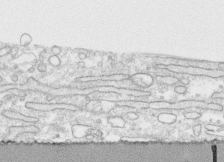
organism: Human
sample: CRL-1474